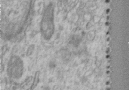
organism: Human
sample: Centriole in RPE cells